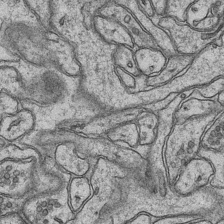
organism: Mouse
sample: CA1 Hippocampus